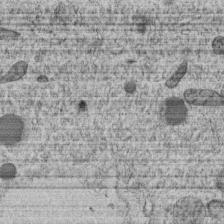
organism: C. elegans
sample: C. elegans embryo early stage